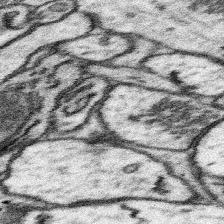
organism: Mouse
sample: Somatosensory cortex neuropil